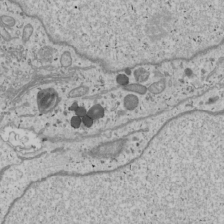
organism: Human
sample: Mitochondria in U2OS cells